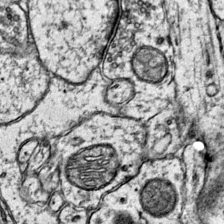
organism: Mouse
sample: Primary visual cortex